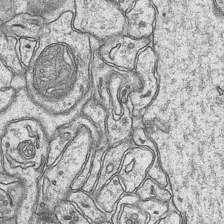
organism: Mouse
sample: CA1 Hippocampus